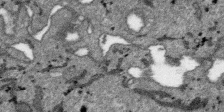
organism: Human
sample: Lung epithelial cells, uninfected (mock) control